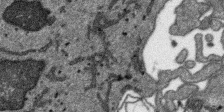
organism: Human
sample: Lung epithelial cells infected with SARS-CoV-2